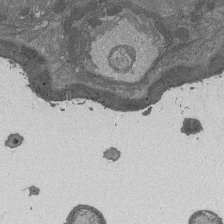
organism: Drosophila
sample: Antenna